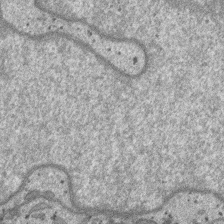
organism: Human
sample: Lung epithelial cells infected with SARS-CoV-2